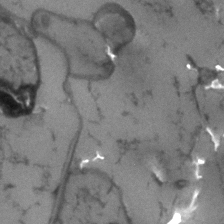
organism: Human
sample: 1205lu cells